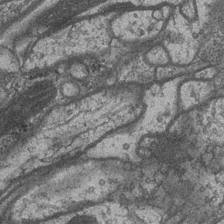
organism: Drosophila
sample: Optic medulla